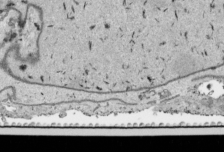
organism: Human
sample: Mitochondria in HCT116 cells